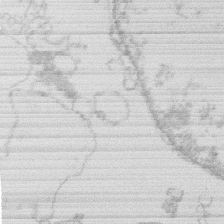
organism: Human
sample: Macrophage cells